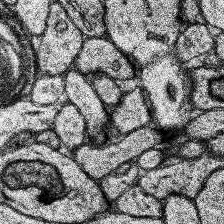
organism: Human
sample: Temporal Lobe